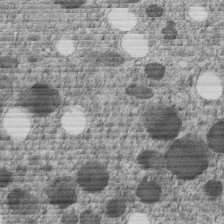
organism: C. elegans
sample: C. elegans embryo early stage